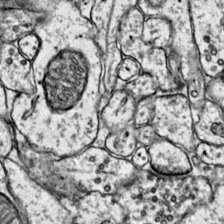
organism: Mouse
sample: Primary visual cortex